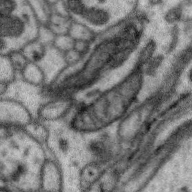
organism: Zebra finch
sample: Brain